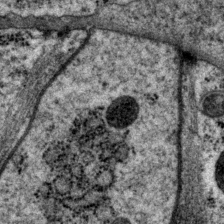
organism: P. pacificus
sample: Pharynx